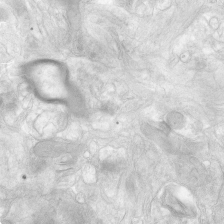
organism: Human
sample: Neocortex